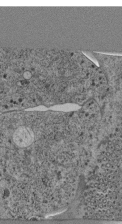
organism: C. elegans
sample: C. elegans pharynx